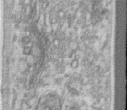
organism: Human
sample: Centriole in RPE cells